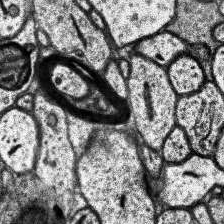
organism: Human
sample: Temporal Lobe